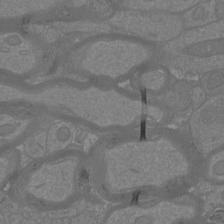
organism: Mouse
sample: Cortical neurons